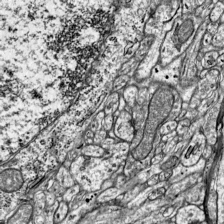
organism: Mouse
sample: Visual Cortex